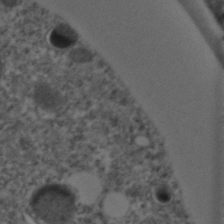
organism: C. elegans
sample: C. elegans embryo